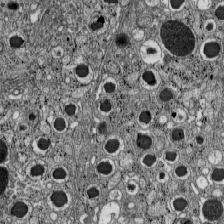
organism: C57BL Mouse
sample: Pancreatic islet